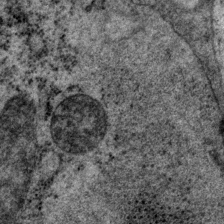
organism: P. pacificus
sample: Pharynx